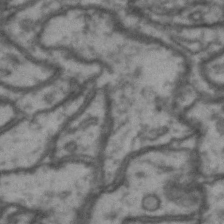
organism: Drosophila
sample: Brain